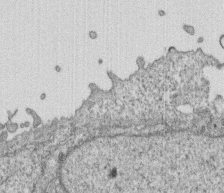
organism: Human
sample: HeLa cell HIV synapse